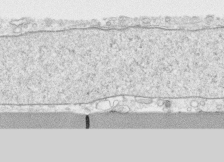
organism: Human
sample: CRL-1474